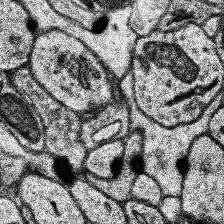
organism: Human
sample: Temporal Lobe